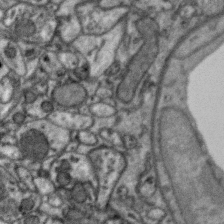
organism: Zebra finch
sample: Brain